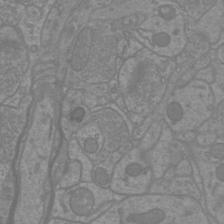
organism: Mouse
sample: Cortical neurons